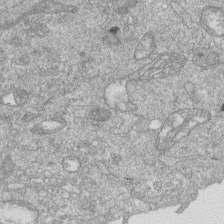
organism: Human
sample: HeLa cell HIV synapse